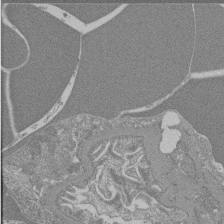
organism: Mouse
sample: Glomerulus